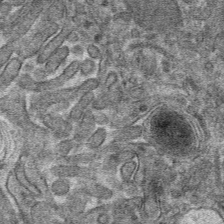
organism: Mouse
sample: Mouse hepatocytes